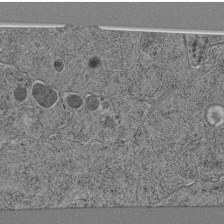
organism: C. elegans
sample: C. elegans pharynx